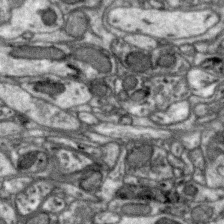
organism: Zebra finch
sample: Brain